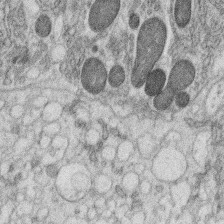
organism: C. elegans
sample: C. elegans oocyte; sperm cells